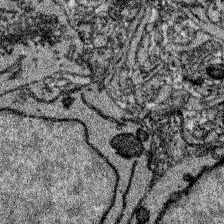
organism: Zebrafish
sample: Larval olfactory bulb